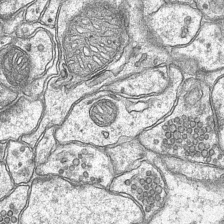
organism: Mouse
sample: CA1 Hippocampus